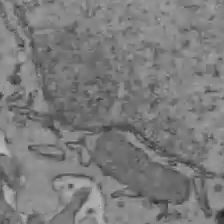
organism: C57BL Mouse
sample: Liver